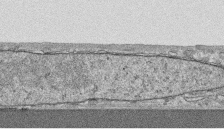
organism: Human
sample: CRL-1474